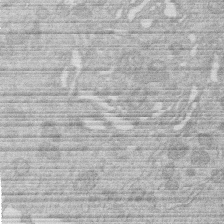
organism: Human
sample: Macrophage cells